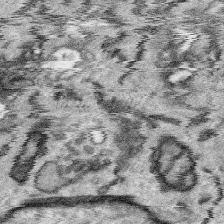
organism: Human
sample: HeLa cells